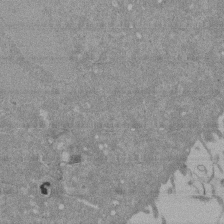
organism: Mouse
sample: ED-1 cell nuclei; centrioles